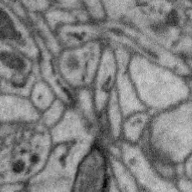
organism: Zebra finch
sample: Brain